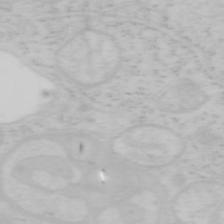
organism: Mouse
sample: OT-I killer T cells with ID8 ovarian cancer cells